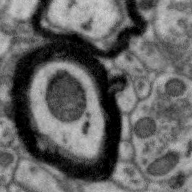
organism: Zebra finch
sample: Brain